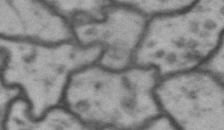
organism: Drosophila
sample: Brain